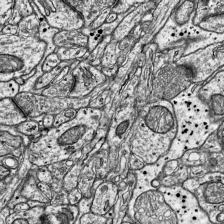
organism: Mouse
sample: Visual Cortex